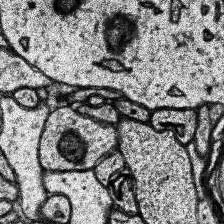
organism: Human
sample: Temporal Lobe